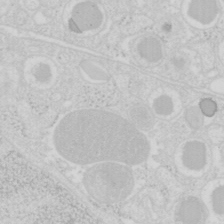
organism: Mouse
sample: Pancreas